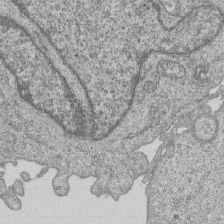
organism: Human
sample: MDA-MB-231 cells